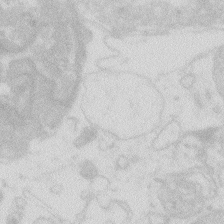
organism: Zebrafish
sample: Macrophage